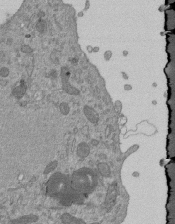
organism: Mouse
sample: ED-1 cell nuclei; centrioles